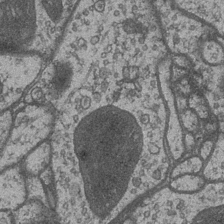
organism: Drosophila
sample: Optic medulla